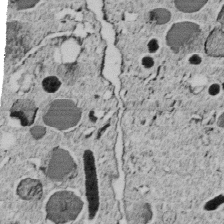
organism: C. elegans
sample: C. elegans embryo early stage